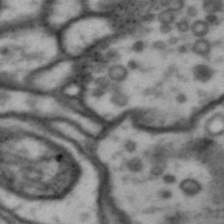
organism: Drosophila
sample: Brain